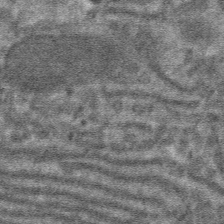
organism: Mouse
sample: Mouse hepatocytes